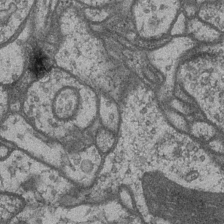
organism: Drosophila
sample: Optic medulla